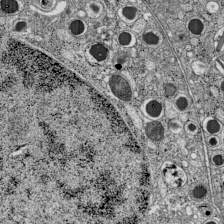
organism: C57BL Mouse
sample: Pancreatic islet